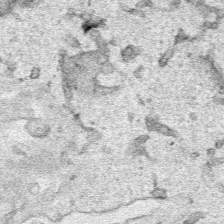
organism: Human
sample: Mitochondria in HCT116 cells